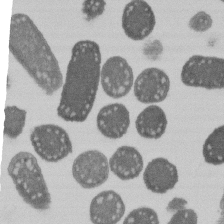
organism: E. coli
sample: Bacterial nucleoid